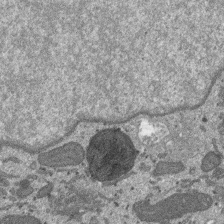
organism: Human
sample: Lung epithelial cells infected with SARS-CoV-2